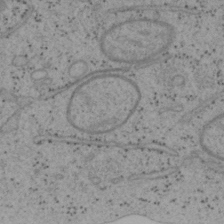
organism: Human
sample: HeLa cells